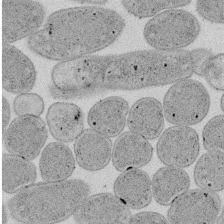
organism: E. coli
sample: Bacterial nucleoid